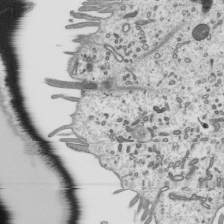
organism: Mouse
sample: Mouse epididymis efferent ductule cilia